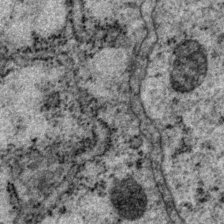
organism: P. pacificus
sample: Pharynx